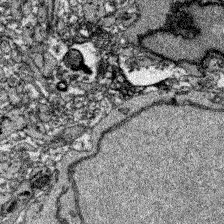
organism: Zebrafish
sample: Larval olfactory bulb